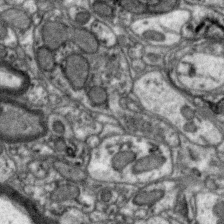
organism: Zebra finch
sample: Brain